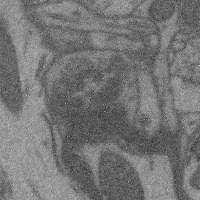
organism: Mouse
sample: Cerebral cortex